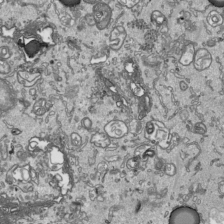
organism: Human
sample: Mitochondria in HCT116 cells